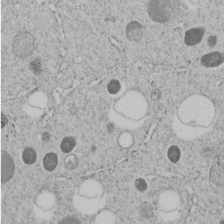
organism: C. elegans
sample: C. elegans embryo early stage